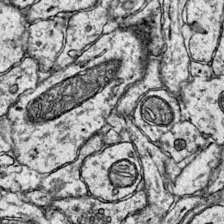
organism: Mouse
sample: Primary visual cortex